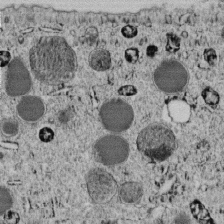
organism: C. elegans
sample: C. elegans embryo early stage